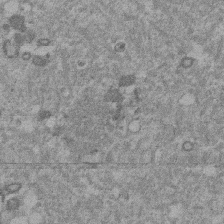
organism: Mouse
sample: Dividing mouse embryo 1 cell stage